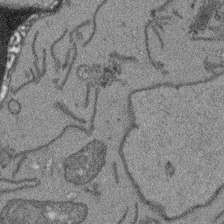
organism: Arabidopsis thaliana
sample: Root tip